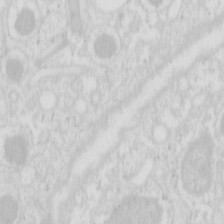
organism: Mouse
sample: Pancreas